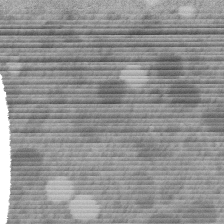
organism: C. elegans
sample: C. elegans embryo early stage